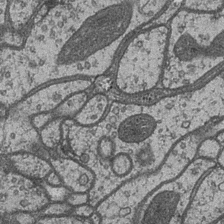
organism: Drosophila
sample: Optic medulla